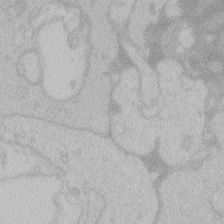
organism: Zebrafish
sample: Macrophage infected with Toxoplasma gondii